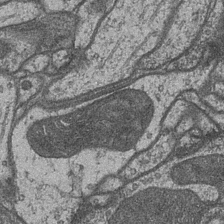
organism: Drosophila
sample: Optic medulla